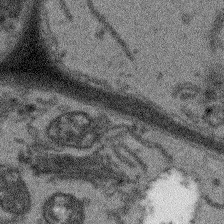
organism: Arabidopsis thaliana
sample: Root tip